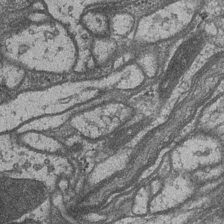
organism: Drosophila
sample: Optic medulla